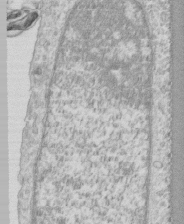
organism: Human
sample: CRL-1474